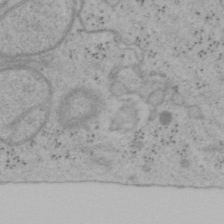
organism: Human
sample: HeLa cells